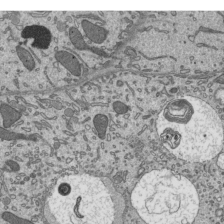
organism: Mouse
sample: Mouse epididymis efferent ductule cilia